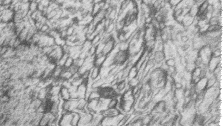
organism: Zebrafish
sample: synaptic ribbons in rod cells and cone cells